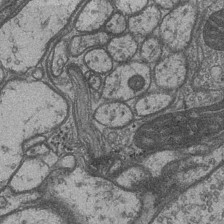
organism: Drosophila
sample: Optic medulla